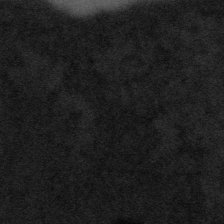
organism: Tuwongella immobilis